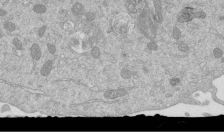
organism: Mouse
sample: ED-1 cell nuclei; centrioles